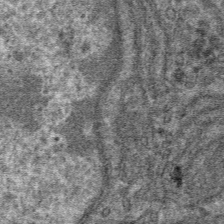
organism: Mouse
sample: Mouse hepatocytes